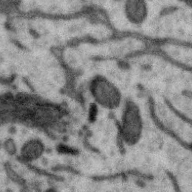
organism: Zebra finch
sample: Brain